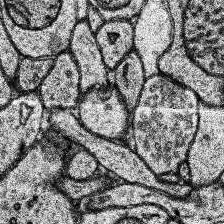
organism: Human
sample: Temporal Lobe